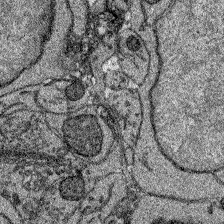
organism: Zebrafish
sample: Larval olfactory bulb